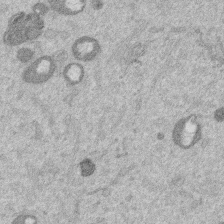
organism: Mouse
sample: Dividing mouse embryo 1 cell stage